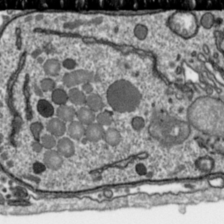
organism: Toxoplasma gondii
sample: Parasites in a vacuole inside a host cell